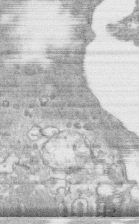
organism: Human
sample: CRL-1474